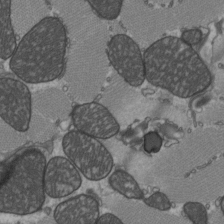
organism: C57BL Mouse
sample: Heart